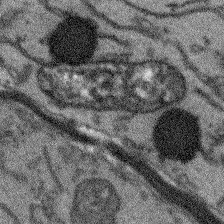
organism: Arabidopsis thaliana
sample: Root tip